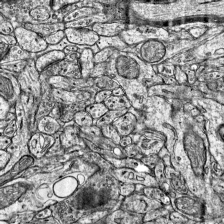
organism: Mouse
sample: Visual Cortex